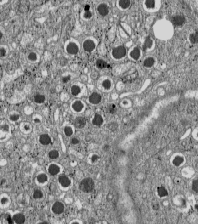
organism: C57BL Mouse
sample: Pancreatic islet